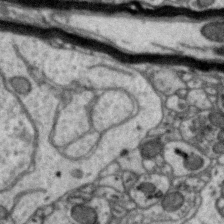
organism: Zebra finch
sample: Brain